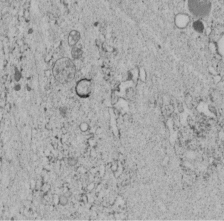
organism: C. elegans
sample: C. elegans embryo early stage